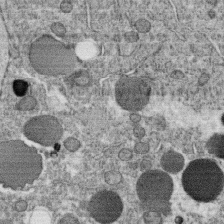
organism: C. elegans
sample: C. elegans oocyte; sperm cells